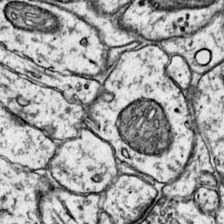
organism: Mouse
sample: Primary visual cortex